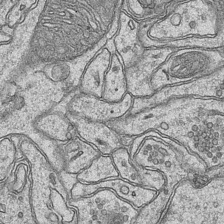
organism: Mouse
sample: CA1 Hippocampus